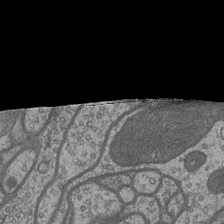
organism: Drosophila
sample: Optic medulla